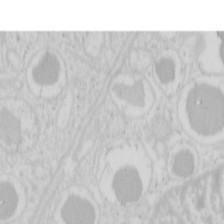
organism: Mouse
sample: Pancreas